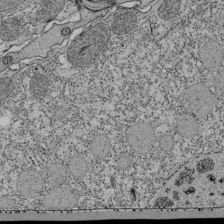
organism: Tetrahymena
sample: Cilia in tetrahymena